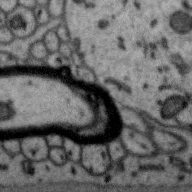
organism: Zebra finch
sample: Brain